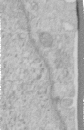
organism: Human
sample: Centriole in RPE cells